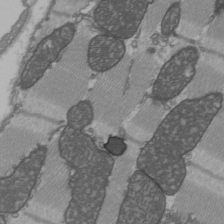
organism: C57BL Mouse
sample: Heart